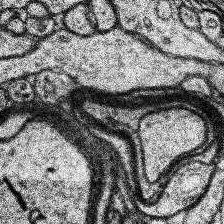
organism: Human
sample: Temporal Lobe